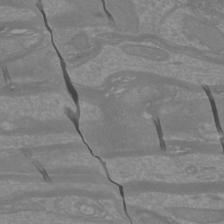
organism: Mouse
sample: Cortical neurons